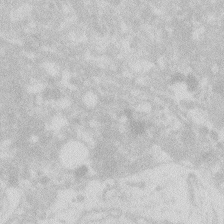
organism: Zebrafish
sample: Macrophage